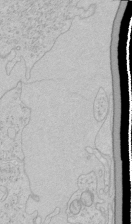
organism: Human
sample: Mitochondria in HCT116 cells